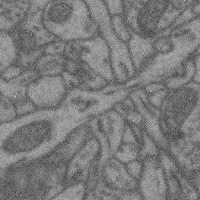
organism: Mouse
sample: Cerebral cortex